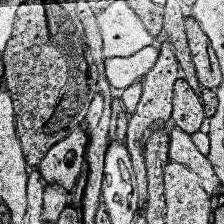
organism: Human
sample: Temporal Lobe